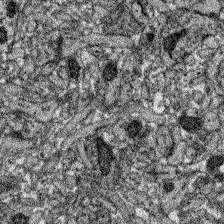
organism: Zebrafish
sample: Larval olfactory bulb